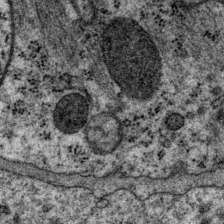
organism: P. pacificus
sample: Pharynx